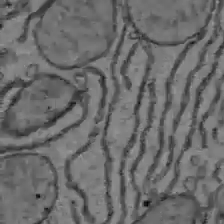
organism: C57BL Mouse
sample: Liver